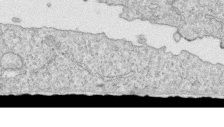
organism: Human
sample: HeLa cell HIV synapse